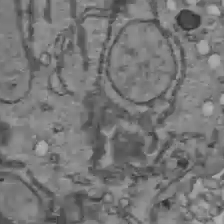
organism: C57BL Mouse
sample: Liver